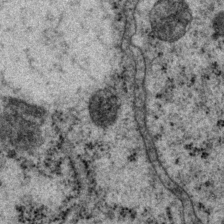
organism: P. pacificus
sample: Pharynx